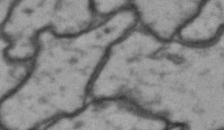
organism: Drosophila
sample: Brain